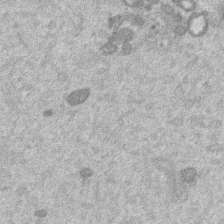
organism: Mouse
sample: Dividing mouse embryo 1 cell stage